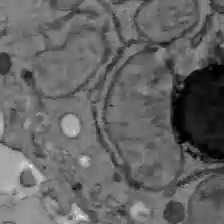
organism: C57BL Mouse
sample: Liver